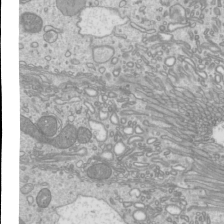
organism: Mouse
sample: Cilia; mouse epididymis